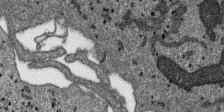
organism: Human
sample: Lung epithelial cells infected with SARS-CoV-2